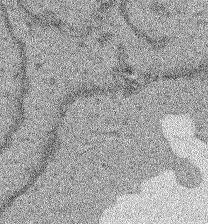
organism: Human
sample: HeLa cells